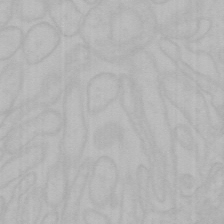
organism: Mouse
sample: Choroid plexus